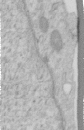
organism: Human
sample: Centriole in RPE cells